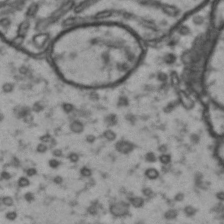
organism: Drosophila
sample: Brain